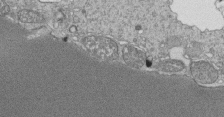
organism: Tetrahymena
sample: Cilia in tetrahymena